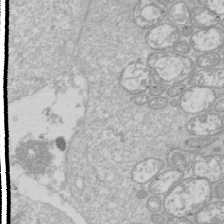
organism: Drosophila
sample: Cell division; meiosis; drosophila spermatocytes